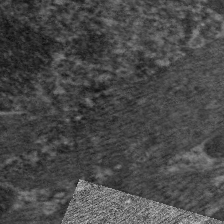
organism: C. elegans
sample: Pharynx